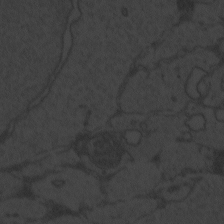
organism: Zebrafish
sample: Macrophage infected with Toxoplasma gondii